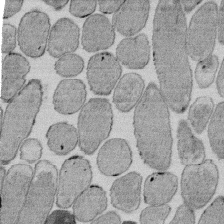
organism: E. coli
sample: Bacterial nucleoid